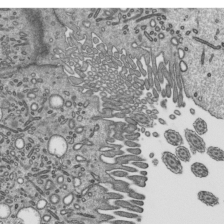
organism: Mouse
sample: Mouse epididymis efferent ductule cilia